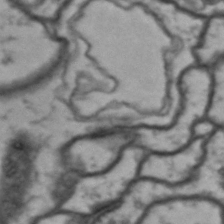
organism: Drosophila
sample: Brain